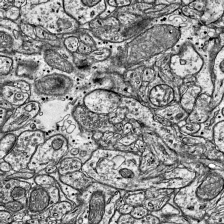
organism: Mouse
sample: Visual Cortex